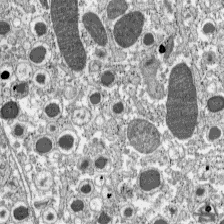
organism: C57BL Mouse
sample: Pancreatic islet